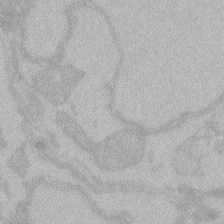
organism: Zebrafish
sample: Macrophage infected with Toxoplasma gondii